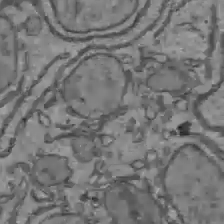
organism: C57BL Mouse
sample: Liver